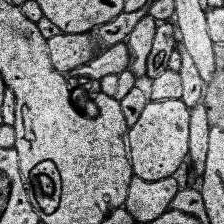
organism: Human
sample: Temporal Lobe